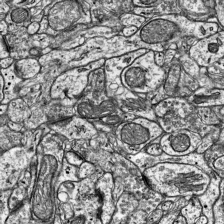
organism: Mouse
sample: Visual Cortex